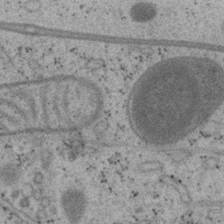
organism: Human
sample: HeLa cells